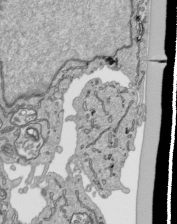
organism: Human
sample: Mitochondria in HCT116 cells